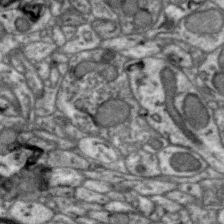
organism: Zebra finch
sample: Brain